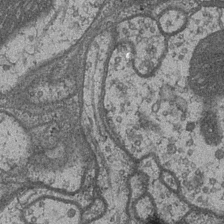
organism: Drosophila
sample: Optic medulla